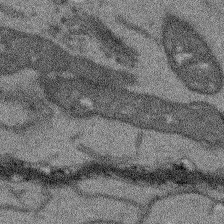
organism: Arabidopsis thaliana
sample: Root tip